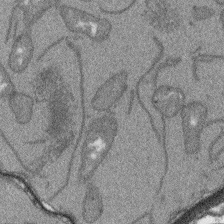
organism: Arabidopsis thaliana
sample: Root tip